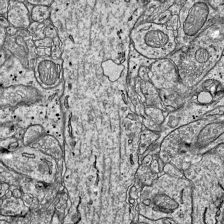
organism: Mouse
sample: Visual Cortex